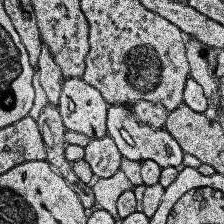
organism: Human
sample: Temporal Lobe